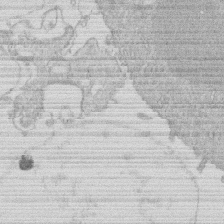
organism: Human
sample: Macrophage cells